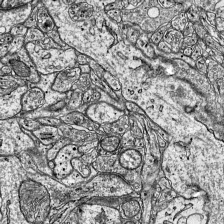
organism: Mouse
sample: Visual Cortex